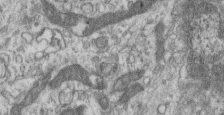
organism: Mouse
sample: Centriole in ependymal cells